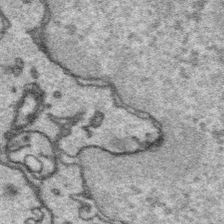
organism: Platynereis dumerilii